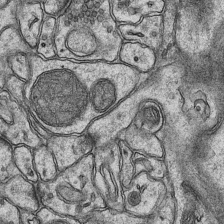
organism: Mouse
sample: CA1 Hippocampus